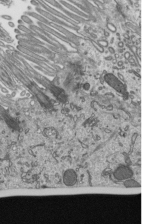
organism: Mouse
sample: Mouse epididymis efferent ductule cilia